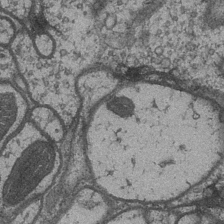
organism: Drosophila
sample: Optic medulla